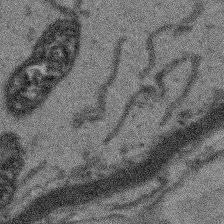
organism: Arabidopsis thaliana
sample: Root tip